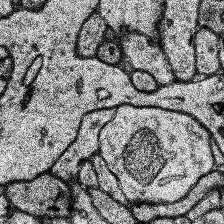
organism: Human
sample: Temporal Lobe